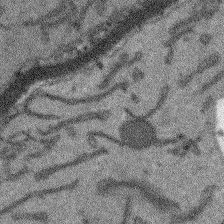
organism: Arabidopsis thaliana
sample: Root tip